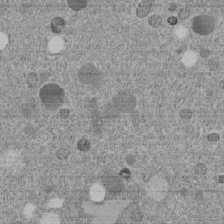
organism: C. elegans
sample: C. elegans embryo early stage